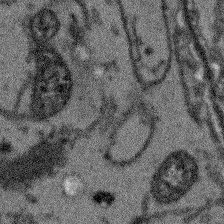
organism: Arabidopsis thaliana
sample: Root tip